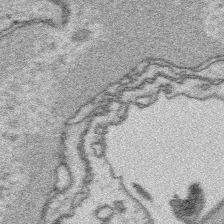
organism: Platynereis dumerilii